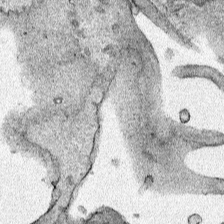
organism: Human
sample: Mitochondria in HCT116 cells